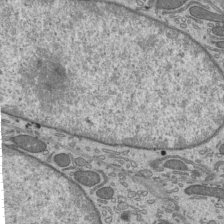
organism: Mouse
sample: Mouse epididymis efferent ductule cilia